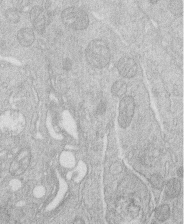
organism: Human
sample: Macrophage cells